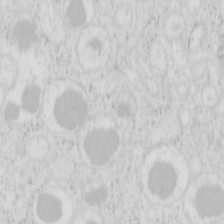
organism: Mouse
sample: Pancreas